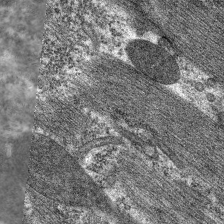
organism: C. elegans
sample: Pharynx